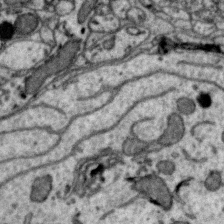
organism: Zebra finch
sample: Brain